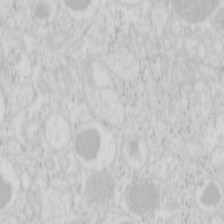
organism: Mouse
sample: Pancreas